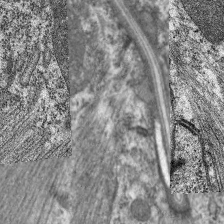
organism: C. elegans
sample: Pharynx